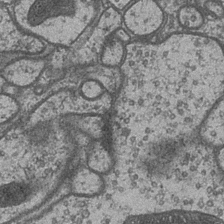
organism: Drosophila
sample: Optic medulla